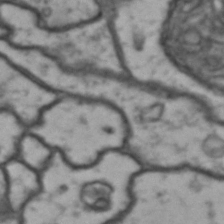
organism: Drosophila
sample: Brain